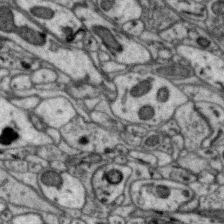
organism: Zebra finch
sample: Brain